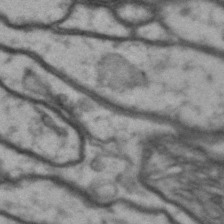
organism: Drosophila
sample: Brain